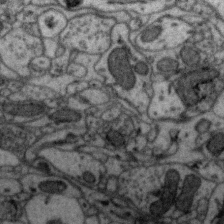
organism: Zebra finch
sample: Brain